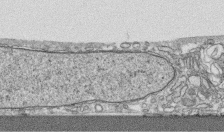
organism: Human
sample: CRL-1474